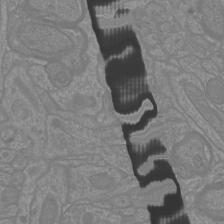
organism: Mouse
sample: Cortical neurons